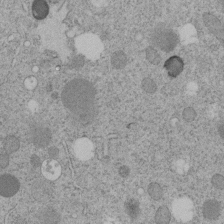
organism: C. elegans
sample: C. elegans embryo early stage